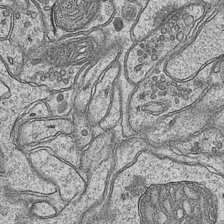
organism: Mouse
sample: CA1 Hippocampus